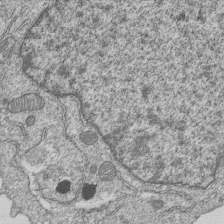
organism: Human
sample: MDA-MB-231 cells